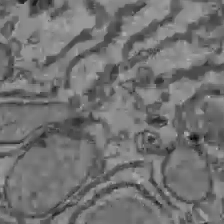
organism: C57BL Mouse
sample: Liver